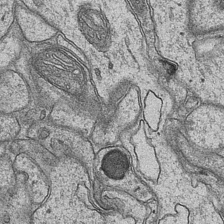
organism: Mouse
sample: CA1 Hippocampus